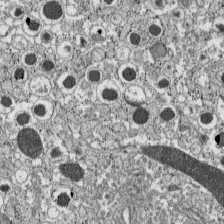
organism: C57BL Mouse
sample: Pancreatic islet